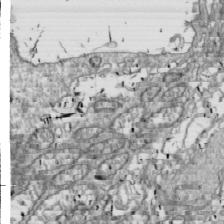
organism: Drosophila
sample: Cell division; meiosis; drosophila spermatocytes